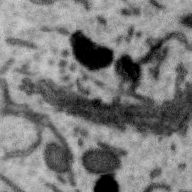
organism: Zebra finch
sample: Brain